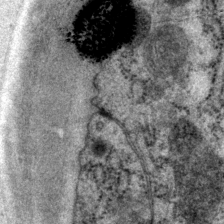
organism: P. pacificus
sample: Pharynx